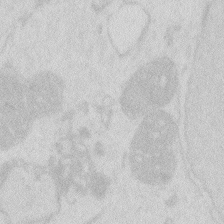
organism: Zebrafish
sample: Macrophage